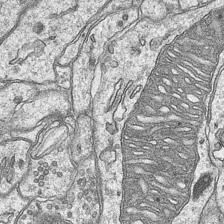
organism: Mouse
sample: CA1 Hippocampus